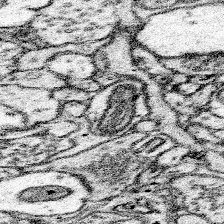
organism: Mouse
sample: Somatosensory cortex neuropil